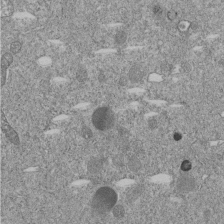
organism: C. elegans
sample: C. elegans embryo early stage